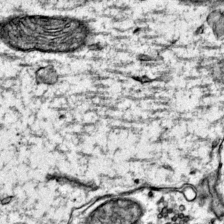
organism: Mouse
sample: Primary visual cortex